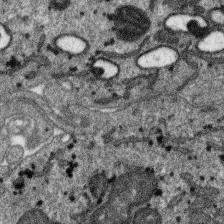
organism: Human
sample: Lung epithelial cells infected with SARS-CoV-2